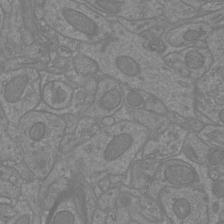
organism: Mouse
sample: Cortical neurons